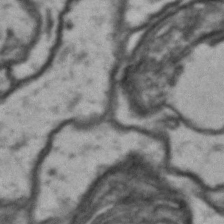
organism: Drosophila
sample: Brain